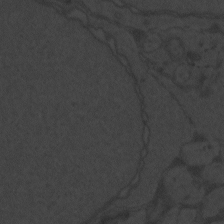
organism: Zebrafish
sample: Macrophage infected with Toxoplasma gondii